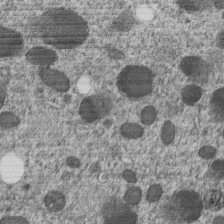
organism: C. elegans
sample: C. elegans embryo early stage